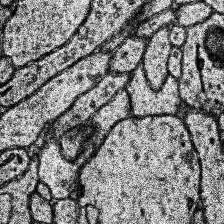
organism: Human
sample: Temporal Lobe